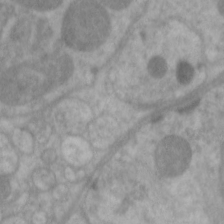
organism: C. elegans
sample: Pharynx